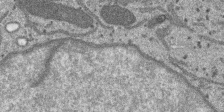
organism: Human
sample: Lung epithelial cells infected with SARS-CoV-2